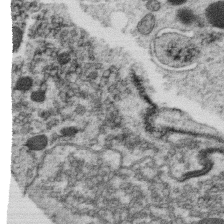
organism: C. elegans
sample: C. elegans oocyte; sperm cells